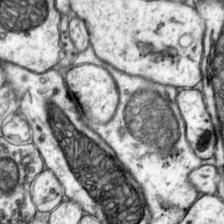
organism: Mouse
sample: Primary visual cortex